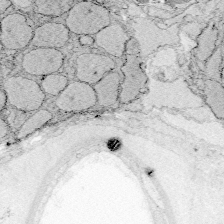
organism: Zebrafish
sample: Whole-Brain